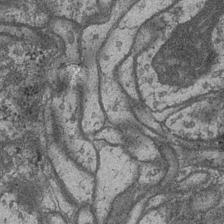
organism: Drosophila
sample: Optic medulla